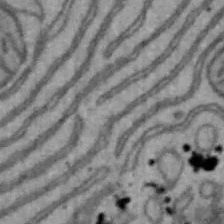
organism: Mouse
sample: Liver